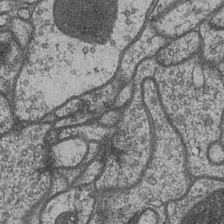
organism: Drosophila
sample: Optic medulla